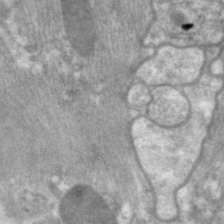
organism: C. elegans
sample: Pharynx